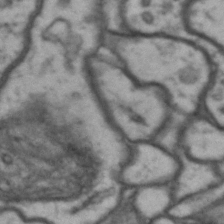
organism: Drosophila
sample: Brain